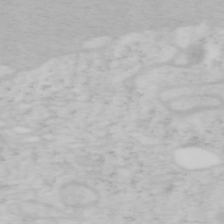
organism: Mouse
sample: OT-I killer T cells with ID8 ovarian cancer cells